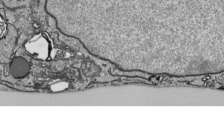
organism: Human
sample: Mitochondria in HCT116 cells